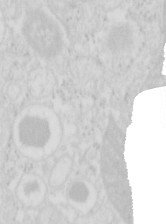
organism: Mouse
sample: Pancreas